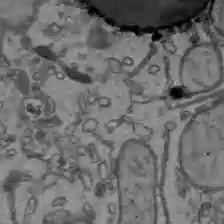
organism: C57BL Mouse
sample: Liver